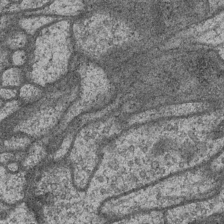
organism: Drosophila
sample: Optic medulla